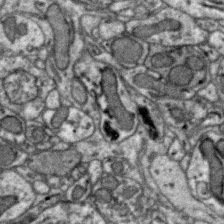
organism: Zebra finch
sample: Brain